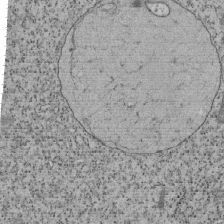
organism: Tetrahymena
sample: Cilia in tetrahymena